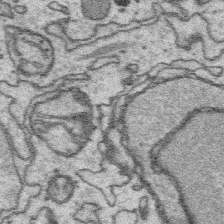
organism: Platynereis dumerilii